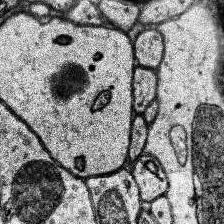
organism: Human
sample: Temporal Lobe